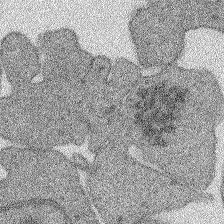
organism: Human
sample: HeLa cells